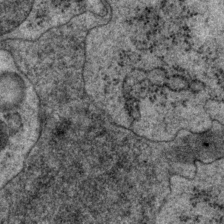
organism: P. pacificus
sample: Pharynx